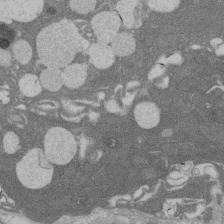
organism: Rat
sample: Salivary granule